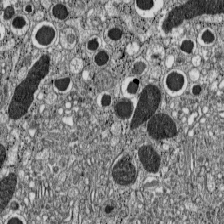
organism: C57BL Mouse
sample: Pancreatic islet